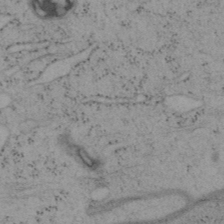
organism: Mouse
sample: OT-I killer T cells with ID8 ovarian cancer cells